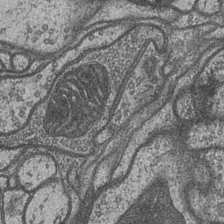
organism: Drosophila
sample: Optic medulla